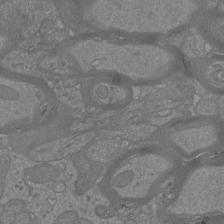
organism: Mouse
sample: Cortical neurons